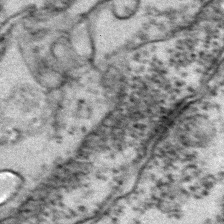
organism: Zebrafish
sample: Zebrafish embryo